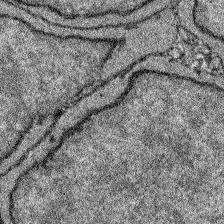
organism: Zebrafish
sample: Larval olfactory bulb